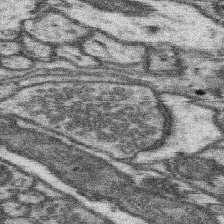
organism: Mouse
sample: Somatosensory cortex neuropil